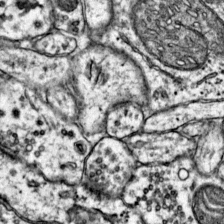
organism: Mouse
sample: Primary visual cortex